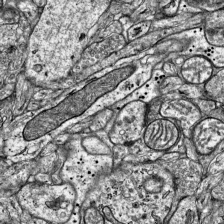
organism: Mouse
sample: Visual Cortex